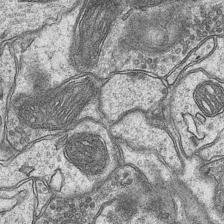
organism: Mouse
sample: CA1 Hippocampus